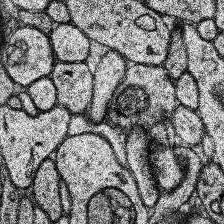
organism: Human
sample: Temporal Lobe